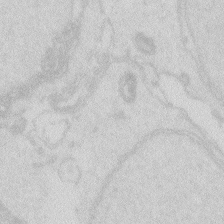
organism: Zebrafish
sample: Macrophage